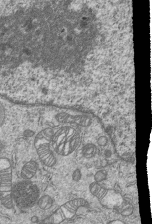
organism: Human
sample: MDA-MB-231 cells